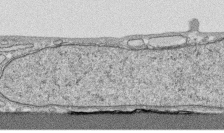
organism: Human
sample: CRL-1474